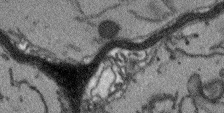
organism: Arabidopsis thaliana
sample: Root tip